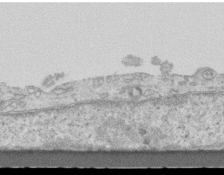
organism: Mouse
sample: Centriole in ependymal cells